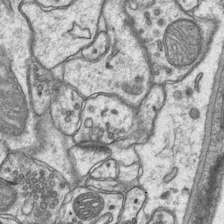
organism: Mouse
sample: CA1 Hippocampus